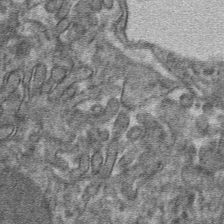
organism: Mouse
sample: Mouse hepatocytes